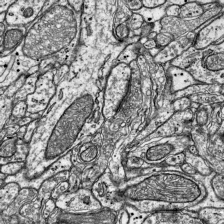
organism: Mouse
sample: Visual Cortex